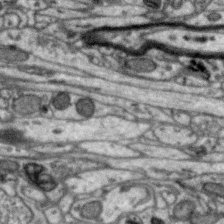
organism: Zebra finch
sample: Brain